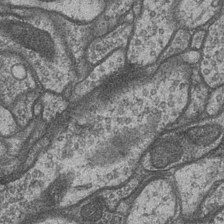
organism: Drosophila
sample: Optic medulla